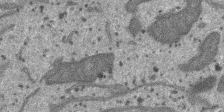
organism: Human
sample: Lung epithelial cells infected with SARS-CoV-2